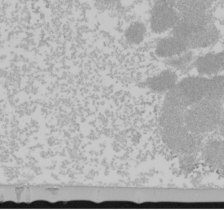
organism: Mouse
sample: Cancer cell death in ED-1 cells